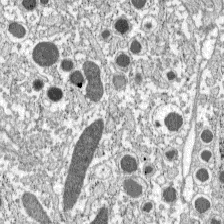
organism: C57BL Mouse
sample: Pancreatic islet